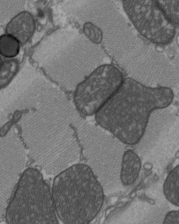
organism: C57BL Mouse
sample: Heart